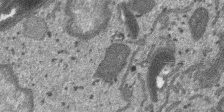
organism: Human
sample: Lung epithelial cells infected with SARS-CoV-2